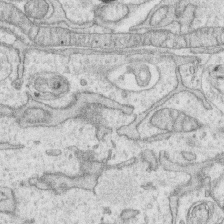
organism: Human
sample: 1205lu cells